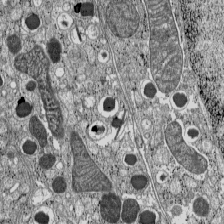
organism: C57BL Mouse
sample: Pancreatic islet